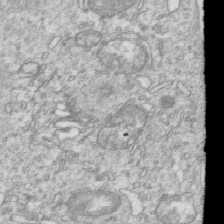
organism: Mouse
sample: Activated OT-1 CD8+ T cells